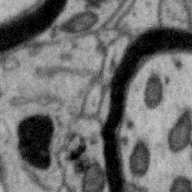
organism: Zebra finch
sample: Brain